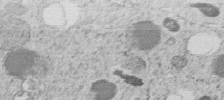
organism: C. elegans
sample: C. elegans embryo early stage